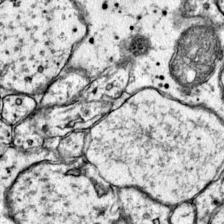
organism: Mouse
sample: Primary visual cortex